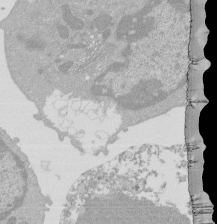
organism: Mouse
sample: Activated Pmel transgenic CD8+ T Cells